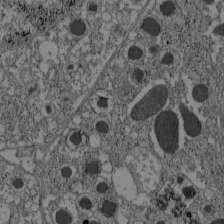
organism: C57BL Mouse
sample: Pancreatic islet